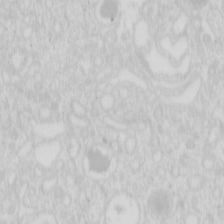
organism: Mouse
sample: Pancreas